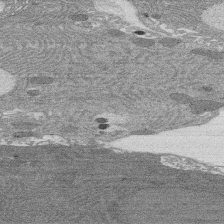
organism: Rat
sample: Salivary granule